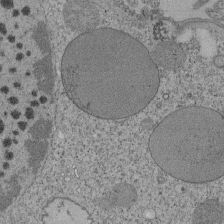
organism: Tetrahymena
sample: Cilia in tetrahymena